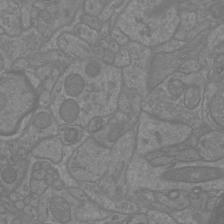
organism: Mouse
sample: Cortical neurons